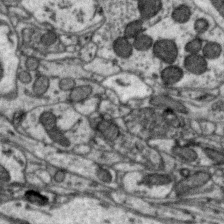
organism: Zebra finch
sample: Brain